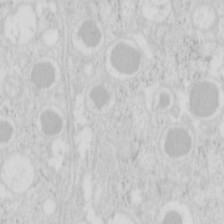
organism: Mouse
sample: Pancreas